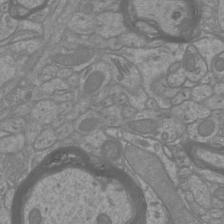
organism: Mouse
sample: Cortical neurons